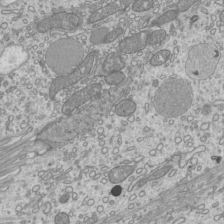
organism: Mouse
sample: Cilia; mouse epididymis